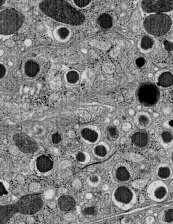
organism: C57BL Mouse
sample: Pancreatic islet